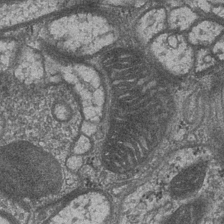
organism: Drosophila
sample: Optic medulla